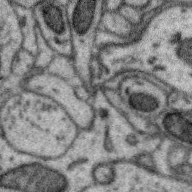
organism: Zebra finch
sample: Brain